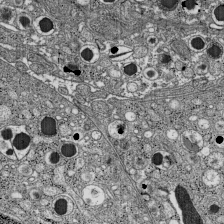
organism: C57BL Mouse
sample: Pancreatic islet